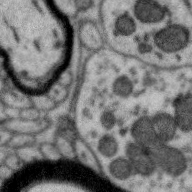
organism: Zebra finch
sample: Brain